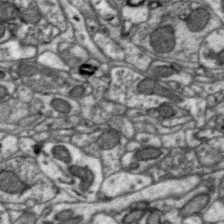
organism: Zebra finch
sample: Brain